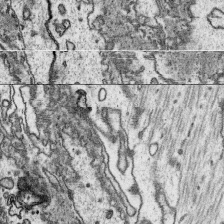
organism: Platynereis dumerilii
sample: Parapodia